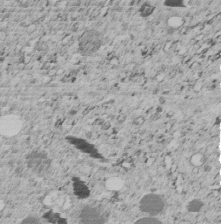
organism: C. elegans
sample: C. elegans embryo early stage